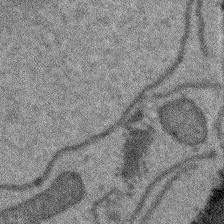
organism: Arabidopsis thaliana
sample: Root tip